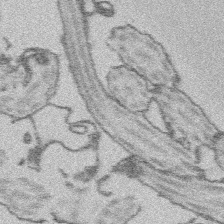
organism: Platynereis dumerilii